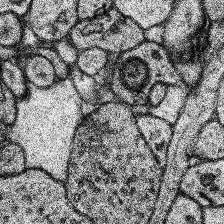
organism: Human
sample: Temporal Lobe